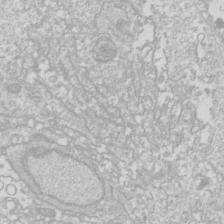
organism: Drosophila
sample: Cell division; meiosis; drosophila spermatocytes